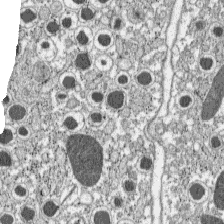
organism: C57BL Mouse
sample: Pancreatic islet